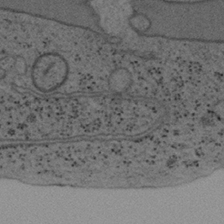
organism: Human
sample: HeLa cells